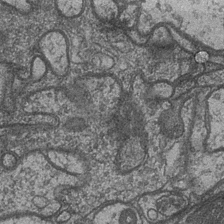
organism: Drosophila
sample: Optic medulla